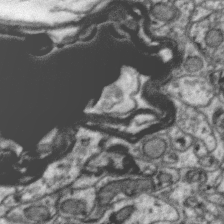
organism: Zebra finch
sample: Brain